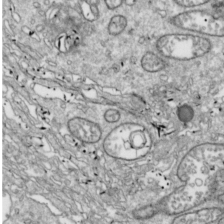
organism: Drosophila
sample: Cell division; meiosis; drosophila spermatocytes